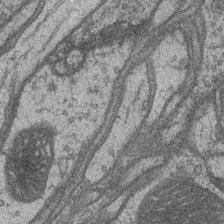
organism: Drosophila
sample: Optic medulla